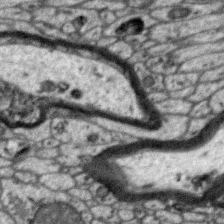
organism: Zebra finch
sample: Brain